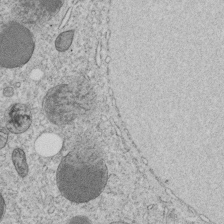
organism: C. elegans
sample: C. elegans embryo early stage